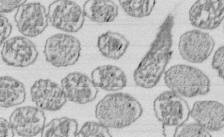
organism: E. coli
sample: Bacterial nucleoid